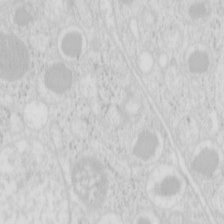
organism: Mouse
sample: Pancreas